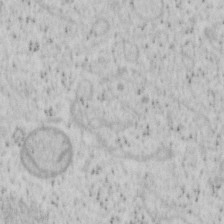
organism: Human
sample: HeLa cells